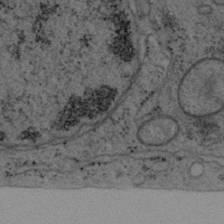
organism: Human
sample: HeLa cells